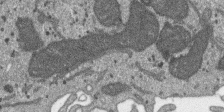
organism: Human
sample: Lung epithelial cells infected with SARS-CoV-2